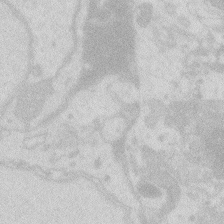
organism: Zebrafish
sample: Macrophage